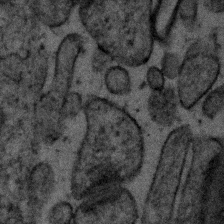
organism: Human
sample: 1205lu cells